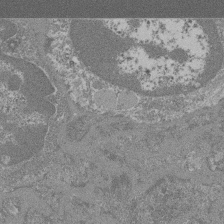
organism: Mouse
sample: Glomerulus